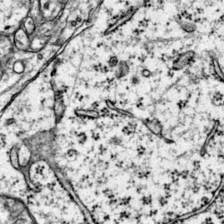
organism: Mouse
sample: Primary visual cortex